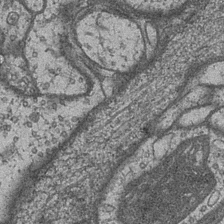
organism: Drosophila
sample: Optic medulla